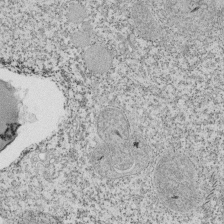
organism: Tetrahymena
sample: Cilia in tetrahymena